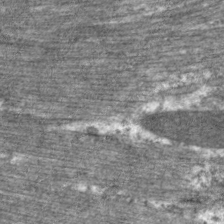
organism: C. elegans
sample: Pharynx